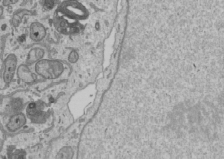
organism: Human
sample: Mitochondria in U2OS cells